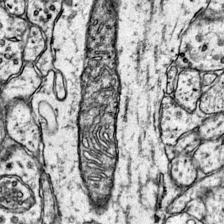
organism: Mouse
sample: Primary visual cortex